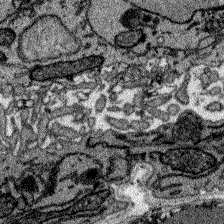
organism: Zebrafish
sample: Larval olfactory bulb